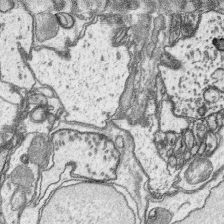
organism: Platynereis dumerilii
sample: Parapodia